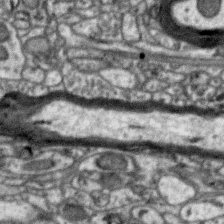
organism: Zebra finch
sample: Brain